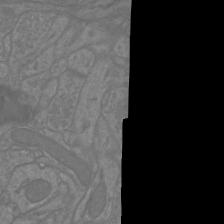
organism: Mouse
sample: Cortical neurons